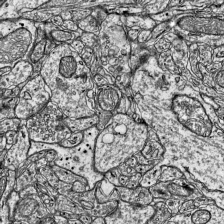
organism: Mouse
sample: Visual Cortex